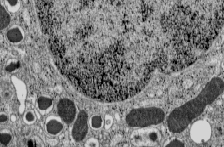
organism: C57BL Mouse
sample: Pancreatic islet